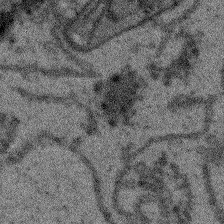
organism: Arabidopsis thaliana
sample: Root tip